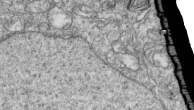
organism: Human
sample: HeLa cell HIV synapse